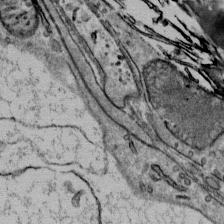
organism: Mouse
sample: Mouse Salivary gland